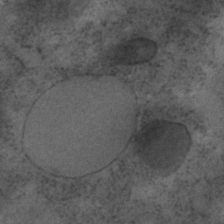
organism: C. elegans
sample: C. elegans embryo